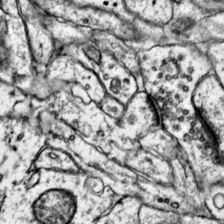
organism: Mouse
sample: Primary visual cortex